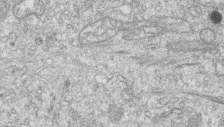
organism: Human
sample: HeLa cell HIV synapse